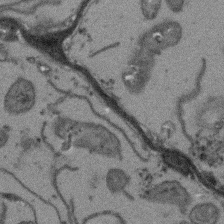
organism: Arabidopsis thaliana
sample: Root tip